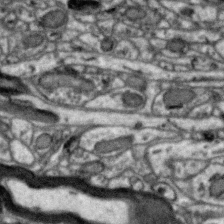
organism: Zebra finch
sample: Brain